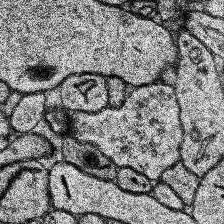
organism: Human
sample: Temporal Lobe